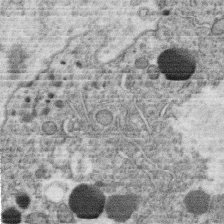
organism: C. elegans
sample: C. elegans oocyte; sperm cells